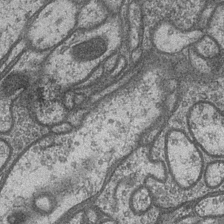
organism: Drosophila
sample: Optic medulla